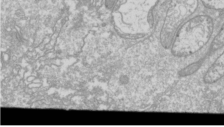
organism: Drosophila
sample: Cell division; meiosis; drosophila spermatocytes